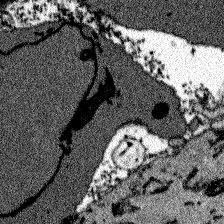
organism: Zebrafish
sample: Larval olfactory bulb